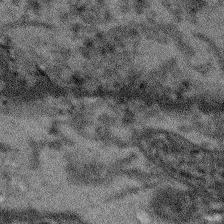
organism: Arabidopsis thaliana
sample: Root tip